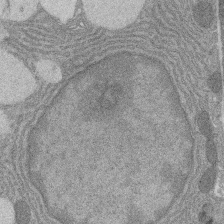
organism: Rat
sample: Salivary granule